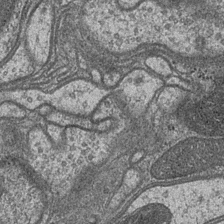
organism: Drosophila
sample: Optic medulla